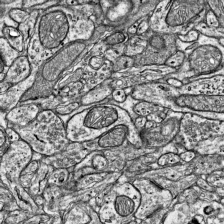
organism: Mouse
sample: Visual Cortex